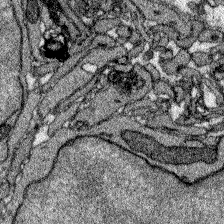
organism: Zebrafish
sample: Larval olfactory bulb